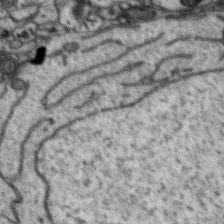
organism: Zebra finch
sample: Brain